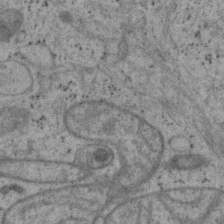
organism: Human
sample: HeLa cells